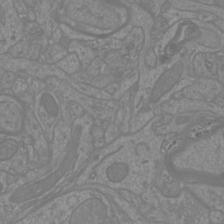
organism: Mouse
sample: Cortical neurons